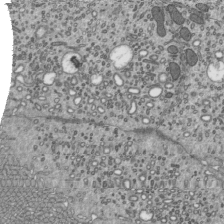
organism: Mouse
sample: Mouse epididymis efferent ductule cilia